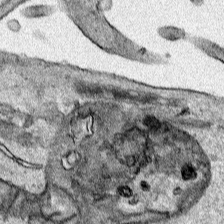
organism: Human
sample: Mitochondria in HCT116 cells